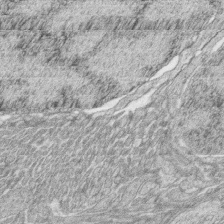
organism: Zebrafish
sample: synaptic ribbons in rod cells and cone cells